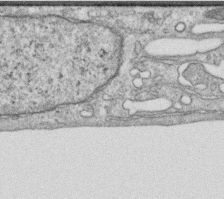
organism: Human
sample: Centriole in RPE cells